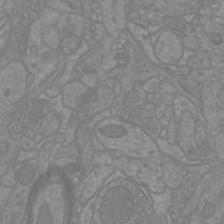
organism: Mouse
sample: Cortical neurons